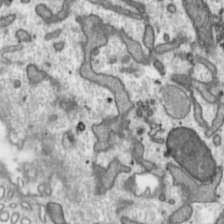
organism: Toxoplasma gondii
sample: Parasites in a vacuole inside a host cell